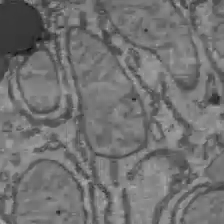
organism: C57BL Mouse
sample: Liver